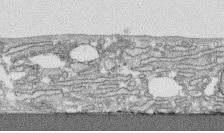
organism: Human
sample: CRL-1474